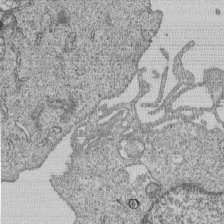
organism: Human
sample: MDA-MB-231 cells